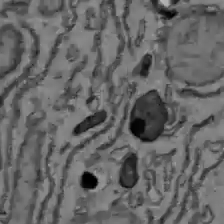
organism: C57BL Mouse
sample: Liver